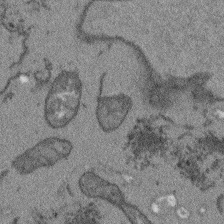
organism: Arabidopsis thaliana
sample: Root tip